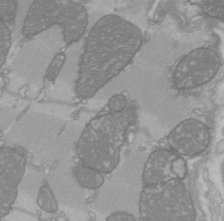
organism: C57BL Mouse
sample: Heart